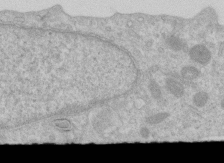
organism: Human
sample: Centriole in RPE cells